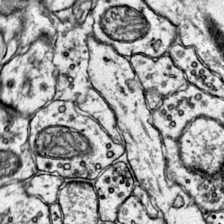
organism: Mouse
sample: Primary visual cortex